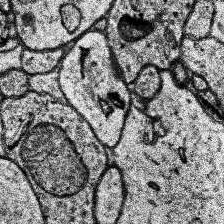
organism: Human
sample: Temporal Lobe